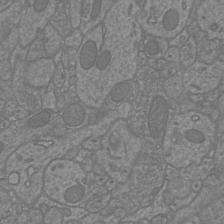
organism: Mouse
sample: Cortical neurons